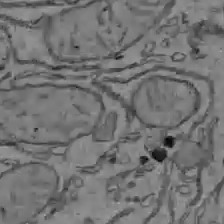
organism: C57BL Mouse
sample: Liver